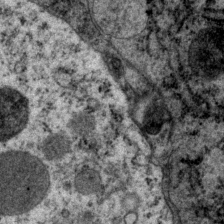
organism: P. pacificus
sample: Pharynx